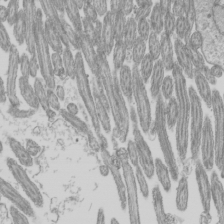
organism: Mouse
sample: Cilia; mouse epididymis